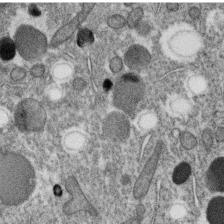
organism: C. elegans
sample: C. elegans oocyte; sperm cells